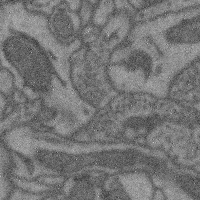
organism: Mouse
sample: Cerebral cortex